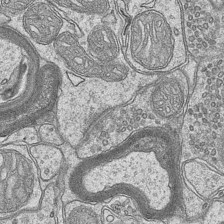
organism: Mouse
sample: CA1 Hippocampus